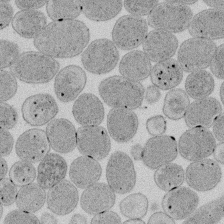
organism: E. coli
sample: Bacterial nucleoid